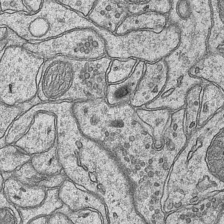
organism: Mouse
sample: CA1 Hippocampus